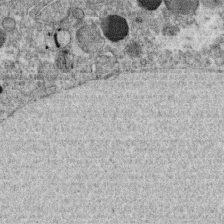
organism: C. elegans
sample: C. elegans oocyte; sperm cells